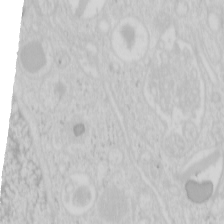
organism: Mouse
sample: Pancreas